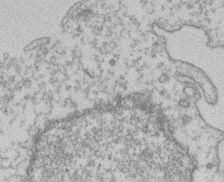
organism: Mouse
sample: T cell stromal cell synapse